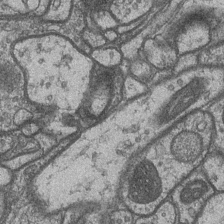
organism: Drosophila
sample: Optic medulla